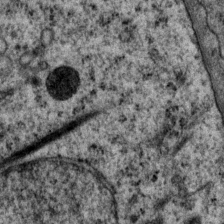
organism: P. pacificus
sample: Pharynx